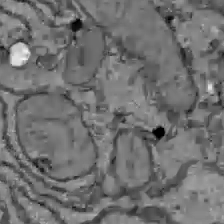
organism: C57BL Mouse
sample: Liver